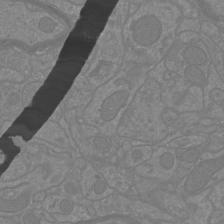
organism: Mouse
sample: Cortical neurons